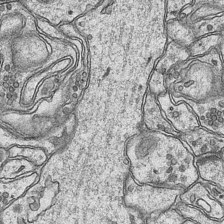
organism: Mouse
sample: CA1 Hippocampus